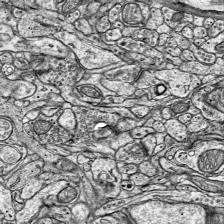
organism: Mouse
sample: Visual Cortex